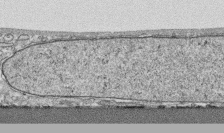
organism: Human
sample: CRL-1474